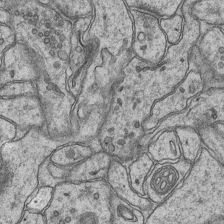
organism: Mouse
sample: CA1 Hippocampus